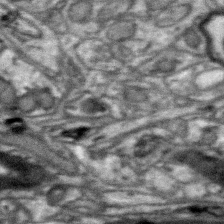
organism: Zebra finch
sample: Brain